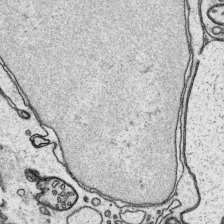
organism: Platynereis dumerilii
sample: Parapodia